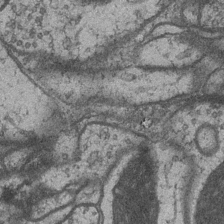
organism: Drosophila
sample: Optic medulla